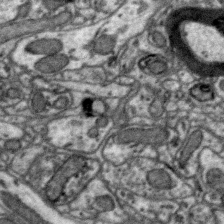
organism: Zebra finch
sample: Brain